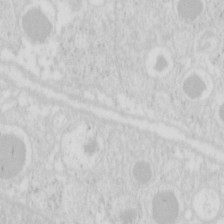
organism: Mouse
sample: Pancreas